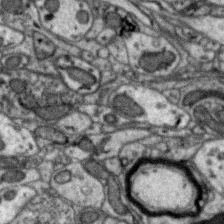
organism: Zebra finch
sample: Brain